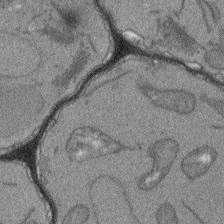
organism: Arabidopsis thaliana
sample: Root tip